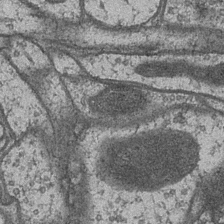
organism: Drosophila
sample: Optic medulla